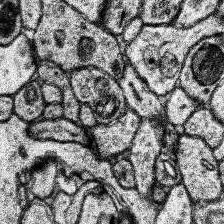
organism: Human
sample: Temporal Lobe